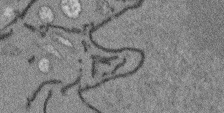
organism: Arabidopsis thaliana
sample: Root tip